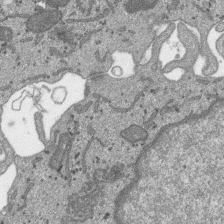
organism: Human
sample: Lung epithelial cells infected with SARS-CoV-2